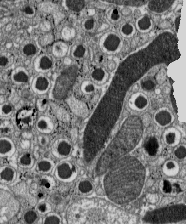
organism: C57BL Mouse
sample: Pancreatic islet